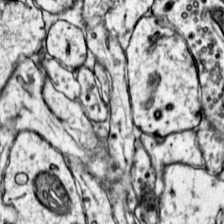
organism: Mouse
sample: Primary visual cortex